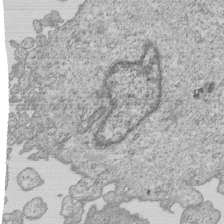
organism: Human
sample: MDA-MB-231 cells